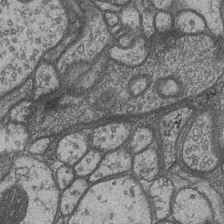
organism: Drosophila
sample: Optic medulla